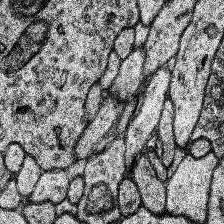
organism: Human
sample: Temporal Lobe